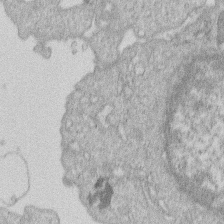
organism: Human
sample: Macrophage cells